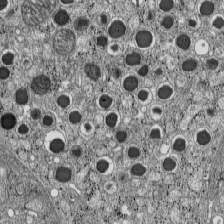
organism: C57BL Mouse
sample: Pancreatic islet